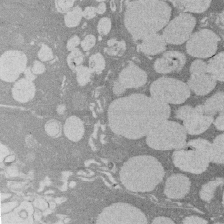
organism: Rat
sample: Salivary granule